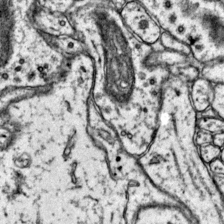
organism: Mouse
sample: Primary visual cortex